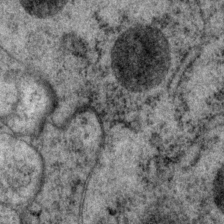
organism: P. pacificus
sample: Pharynx